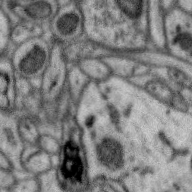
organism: Zebra finch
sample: Brain